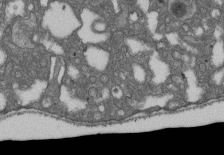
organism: Drosophila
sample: Nephrocyte